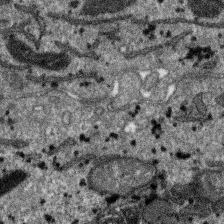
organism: Human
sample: Lung epithelial cells infected with SARS-CoV-2